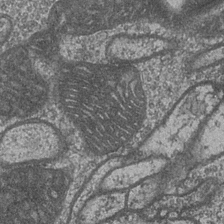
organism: Drosophila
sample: Optic medulla